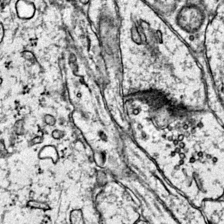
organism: Mouse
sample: Primary visual cortex